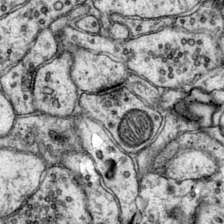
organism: Mouse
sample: Primary visual cortex